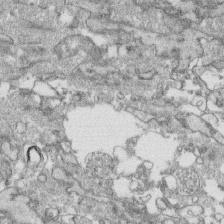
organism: Human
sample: CRL-1474